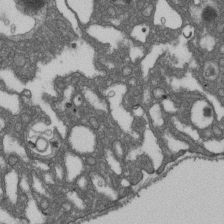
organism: Drosophila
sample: Nephrocyte